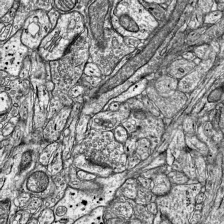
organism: Mouse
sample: Visual Cortex